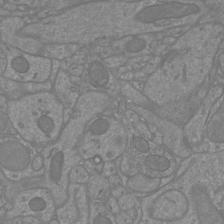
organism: Mouse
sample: Cortical neurons